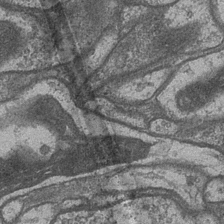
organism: Drosophila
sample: Optic medulla